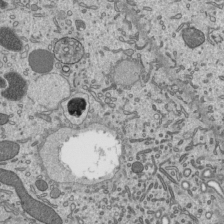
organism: Mouse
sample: Mouse epididymis efferent ductule cilia